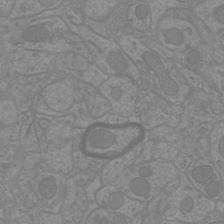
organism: Mouse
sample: Cortical neurons